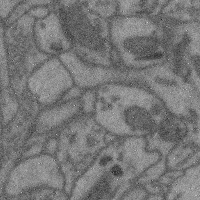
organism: Mouse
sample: Cerebral cortex